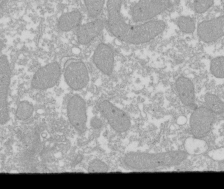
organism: Xenopus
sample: Cilia; centrioles in frog embryo cells